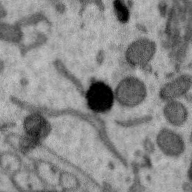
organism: Zebra finch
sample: Brain